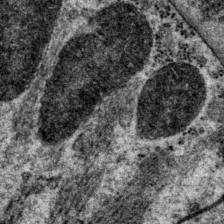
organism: P. pacificus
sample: Pharynx